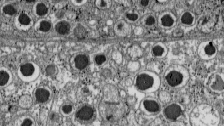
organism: C57BL Mouse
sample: Pancreatic islet